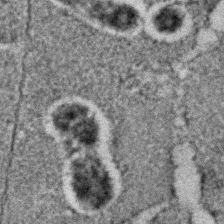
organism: C. elegans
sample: C. elegans embryo